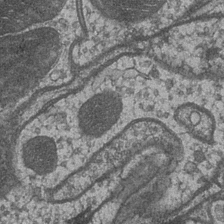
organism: Drosophila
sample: Optic medulla